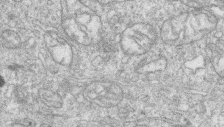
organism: Human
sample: HeLa cell HIV synapse